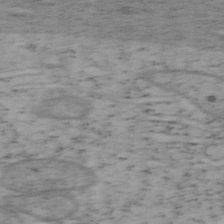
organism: Mouse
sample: OT-I killer T cells with ID8 ovarian cancer cells